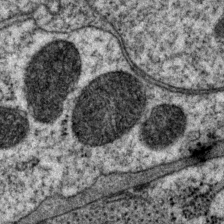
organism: P. pacificus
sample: Pharynx